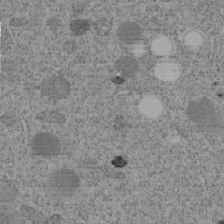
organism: C. elegans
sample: C. elegans embryo early stage